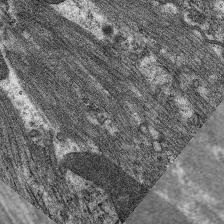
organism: C. elegans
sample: Pharynx